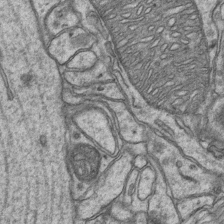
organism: Mouse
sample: CA1 Hippocampus